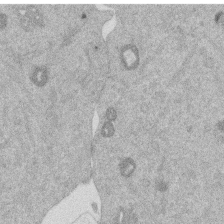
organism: Mouse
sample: Dividing mouse embryo 1 cell stage